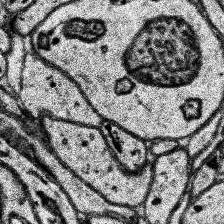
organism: Human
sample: Temporal Lobe